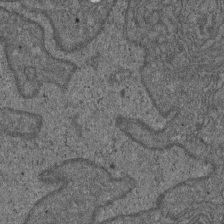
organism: Drosophila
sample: Nephrocyte